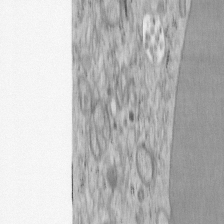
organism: Human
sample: HeLa cells